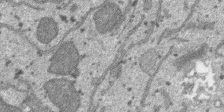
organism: Human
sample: Lung epithelial cells infected with SARS-CoV-2